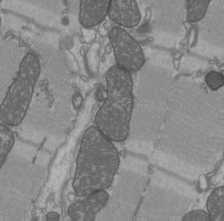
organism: C57BL Mouse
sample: Heart